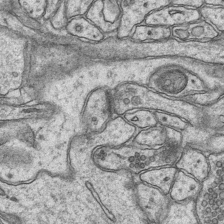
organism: Mouse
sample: CA1 Hippocampus